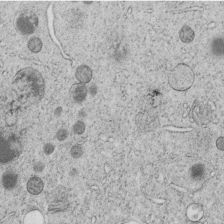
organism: C. elegans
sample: C. elegans embryo early stage